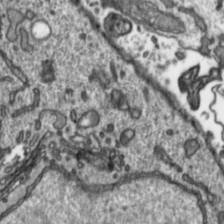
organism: Toxoplasma gondii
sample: Parasites in a vacuole inside a host cell